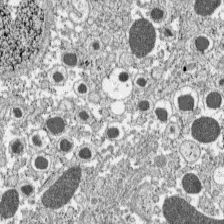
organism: C57BL Mouse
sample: Pancreatic islet